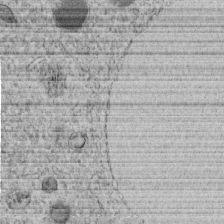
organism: C. elegans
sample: C. elegans embryo early stage